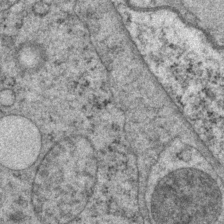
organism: P. pacificus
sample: Pharynx